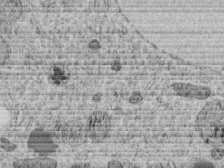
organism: C. elegans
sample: C. elegans embryo early stage